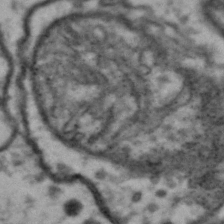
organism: Drosophila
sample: Brain